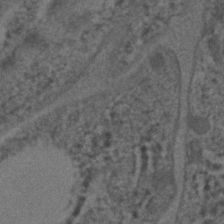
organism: C. elegans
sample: C. elegans embryo